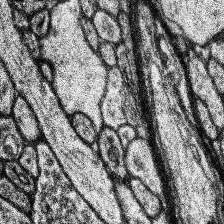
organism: Human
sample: Temporal Lobe